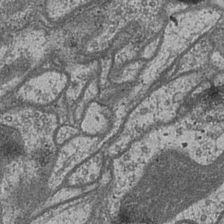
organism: Drosophila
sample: Optic medulla